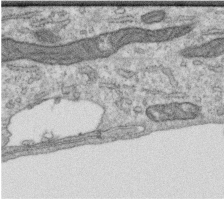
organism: Human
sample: Centriole in RPE cells